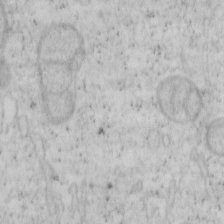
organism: Human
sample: HeLa cells